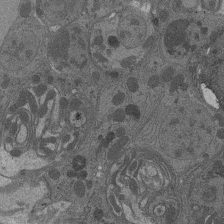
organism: Drosophila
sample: Antenna